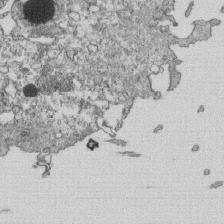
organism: Human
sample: HeLa cell HIV synapse